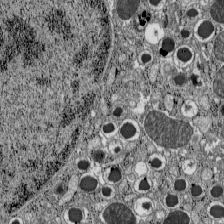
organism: C57BL Mouse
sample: Pancreatic islet